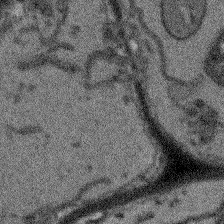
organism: Arabidopsis thaliana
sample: Root tip